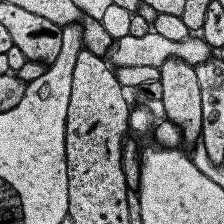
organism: Human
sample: Temporal Lobe